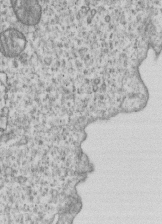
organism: Human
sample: MDA-MB-231 cells